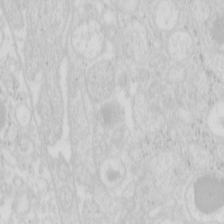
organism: Mouse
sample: Pancreas